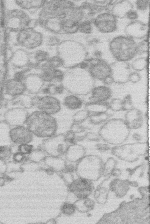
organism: Human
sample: Macrophage cells